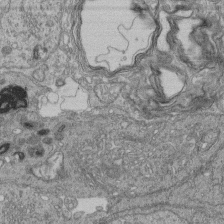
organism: Human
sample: Retinal organoid Rod and Cone cells